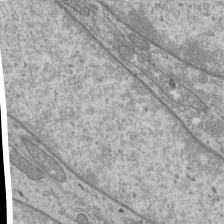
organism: Mouse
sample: Cilia; mouse epididymis